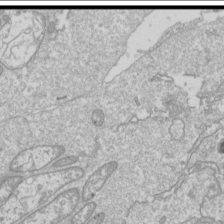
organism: Drosophila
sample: Cell division; meiosis; drosophila spermatocytes